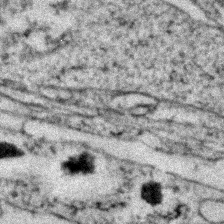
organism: Zebrafish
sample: Zebrafish embryo